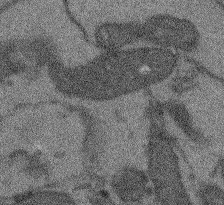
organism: Arabidopsis thaliana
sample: Root tip